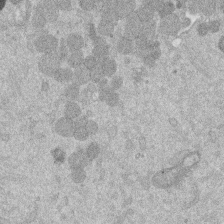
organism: Mouse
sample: Dividing mouse embryo 1 cell stage